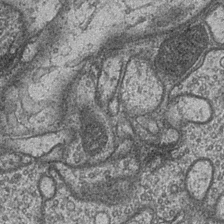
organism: Drosophila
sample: Optic medulla